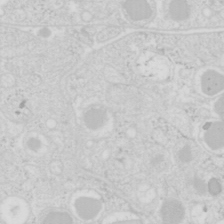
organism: Mouse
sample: Pancreas